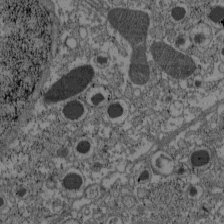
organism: C57BL Mouse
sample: Pancreatic islet